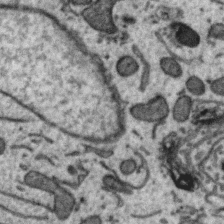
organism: Zebra finch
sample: Brain